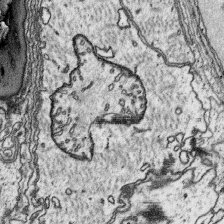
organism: Platynereis dumerilii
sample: Parapodia